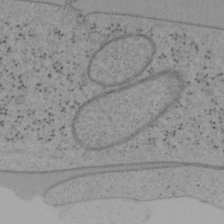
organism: Human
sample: HeLa cells